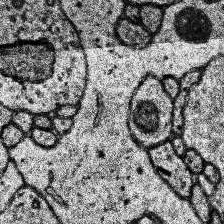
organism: Human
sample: Temporal Lobe